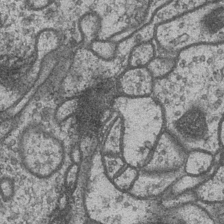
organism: Drosophila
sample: Optic medulla